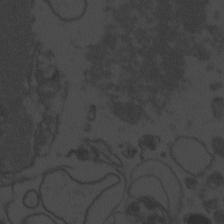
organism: Zebrafish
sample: Macrophage infected with Toxoplasma gondii